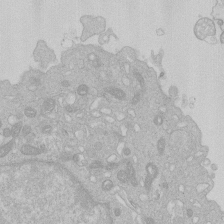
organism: Human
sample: Macrophage cells